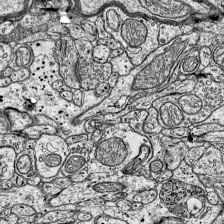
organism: Mouse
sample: Visual Cortex